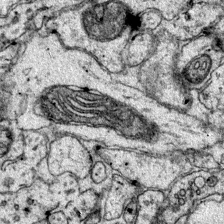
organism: Mouse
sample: Primary visual cortex